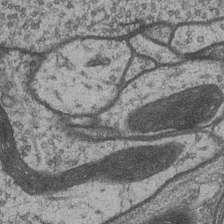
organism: Drosophila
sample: Optic medulla